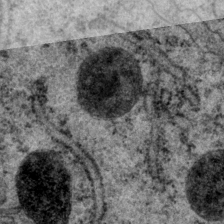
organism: P. pacificus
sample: Pharynx